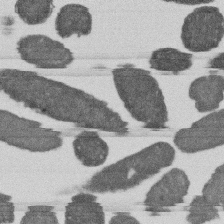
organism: E. coli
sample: Bacterial nucleoid